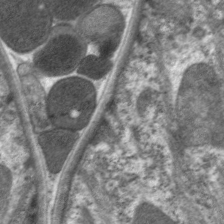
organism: C. elegans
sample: Pharynx